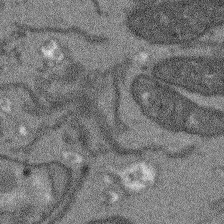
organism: Arabidopsis thaliana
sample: Root tip